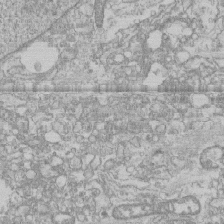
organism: Human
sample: CRL-1474